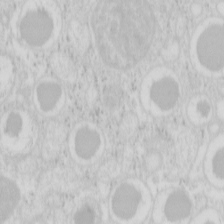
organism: Mouse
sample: Pancreas